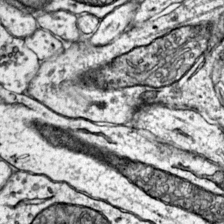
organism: Mouse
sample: Primary visual cortex